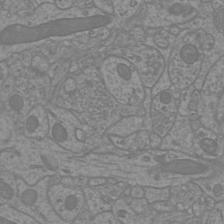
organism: Mouse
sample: Cortical neurons